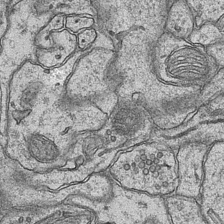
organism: Mouse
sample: CA1 Hippocampus